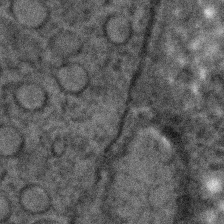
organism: C. elegans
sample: C. elegans embryo